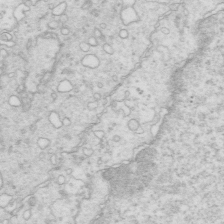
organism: Mouse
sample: Multiciliated cells